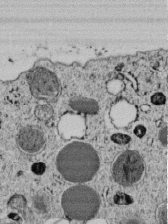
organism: C. elegans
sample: C. elegans embryo early stage